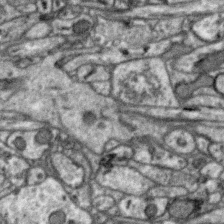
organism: Zebra finch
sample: Brain